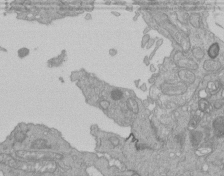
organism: Human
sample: Retinal organoid Rod and Cone cells